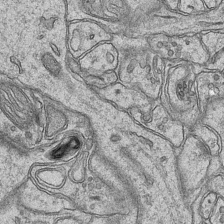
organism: Mouse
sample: CA1 Hippocampus